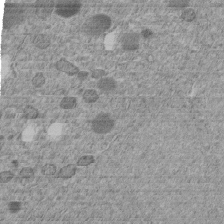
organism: C. elegans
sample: C. elegans embryo early stage